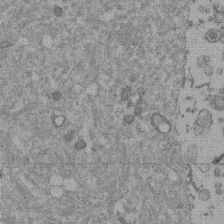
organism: Mouse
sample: Dividing mouse embryo 1 cell stage